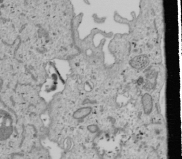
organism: Human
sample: Mitochondria in U2OS cells